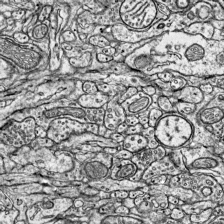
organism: Mouse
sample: Visual Cortex